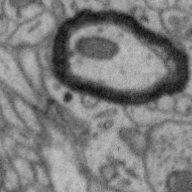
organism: Zebra finch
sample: Brain